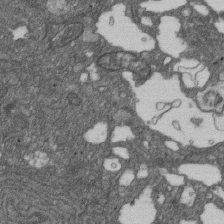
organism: Drosophila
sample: Nephrocyte